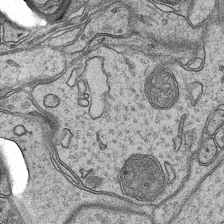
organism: Mouse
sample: CA1 Hippocampus